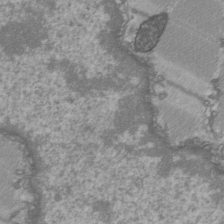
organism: C57BL Mouse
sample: Heart